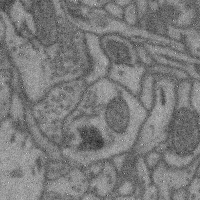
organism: Mouse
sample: Cerebral cortex